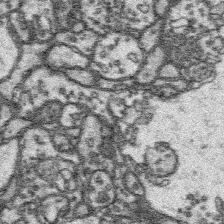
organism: Platynereis dumerilii